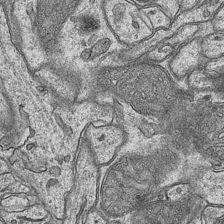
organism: Mouse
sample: CA1 Hippocampus